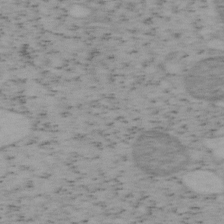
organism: Mouse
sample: OT-I killer T cells with ID8 ovarian cancer cells